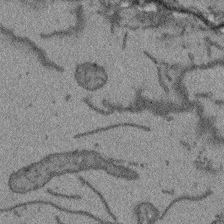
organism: Arabidopsis thaliana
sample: Root tip